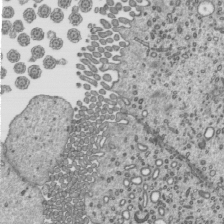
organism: Mouse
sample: Mouse epididymis efferent ductule cilia